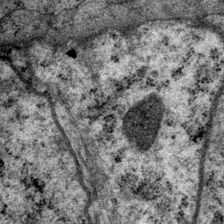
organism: P. pacificus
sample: Pharynx